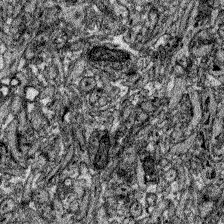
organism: Zebrafish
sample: Larval olfactory bulb